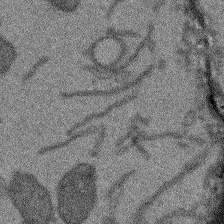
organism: Arabidopsis thaliana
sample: Root tip